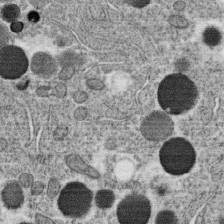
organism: C. elegans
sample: C. elegans oocyte; sperm cells